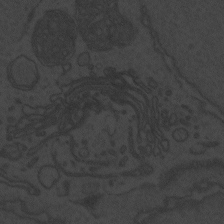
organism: Zebrafish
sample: Macrophage infected with Toxoplasma gondii